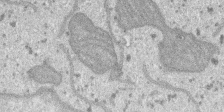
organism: Human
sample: Lung epithelial cells infected with SARS-CoV-2